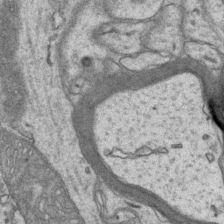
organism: Mouse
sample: CA1 Hippocampus